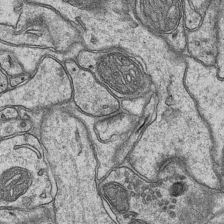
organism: Mouse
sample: CA1 Hippocampus